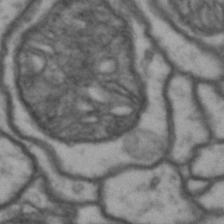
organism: Drosophila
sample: Brain